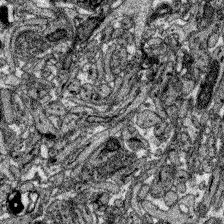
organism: Zebrafish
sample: Larval olfactory bulb